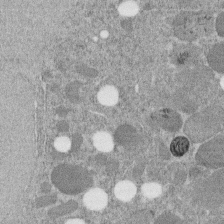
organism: C. elegans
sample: C. elegans embryo early stage